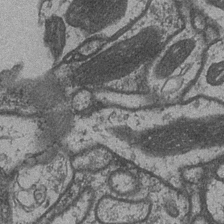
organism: Drosophila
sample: Optic medulla